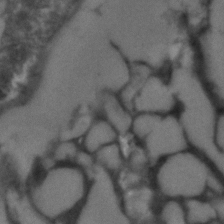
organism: C. elegans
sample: C. elegans embryo